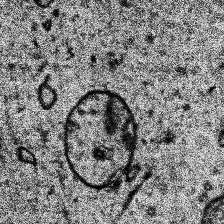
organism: Human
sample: Temporal Lobe